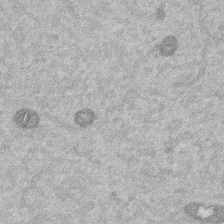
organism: Mouse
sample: Dividing mouse embryo 1 cell stage